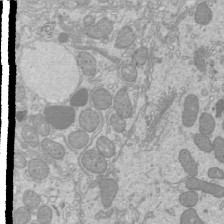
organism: Mouse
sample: Cilia; mouse epididymis